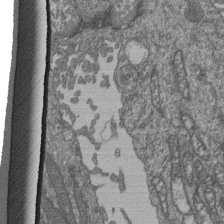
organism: Human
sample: Retinal organoid Rod and Cone cells